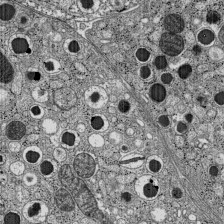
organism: C57BL Mouse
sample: Pancreatic islet